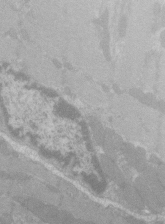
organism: C57BL Mouse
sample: Tibialis anterior muscle cell